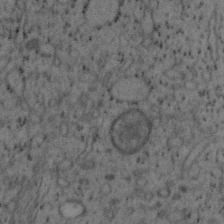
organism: Human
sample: HeLa cells